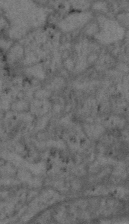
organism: Human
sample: HeLa cells